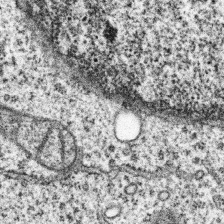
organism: Human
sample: HeLa cells